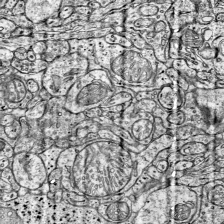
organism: Mouse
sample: Visual Cortex